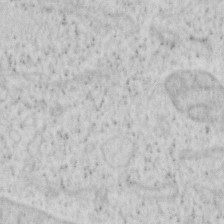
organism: Human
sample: HeLa cells